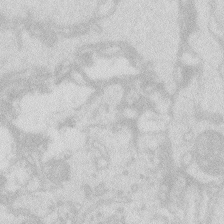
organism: Zebrafish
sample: Macrophage